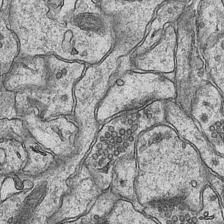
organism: Mouse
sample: CA1 Hippocampus